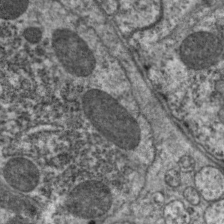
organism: C. elegans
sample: Pharynx